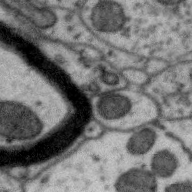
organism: Zebra finch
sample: Brain